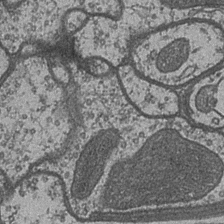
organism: Drosophila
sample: Optic medulla